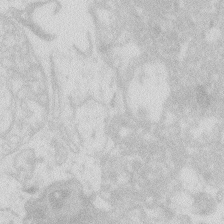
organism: Zebrafish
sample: Macrophage